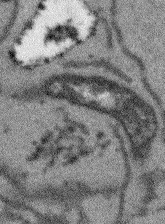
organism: Arabidopsis thaliana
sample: Root tip